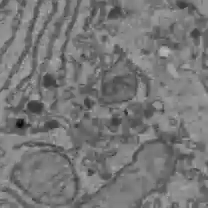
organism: C57BL Mouse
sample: Liver